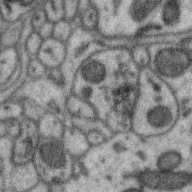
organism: Zebra finch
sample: Brain